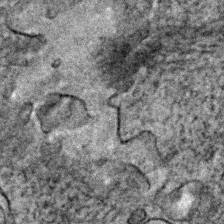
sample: Trachea